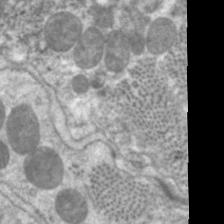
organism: C. elegans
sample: Pharynx